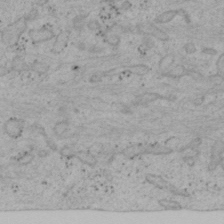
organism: Human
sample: HeLa cells